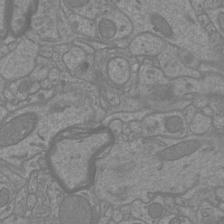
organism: Mouse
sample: Cortical neurons